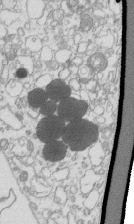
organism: Mouse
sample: Macrophages